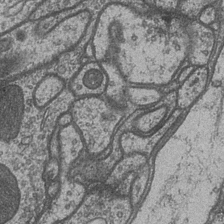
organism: Drosophila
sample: Optic medulla